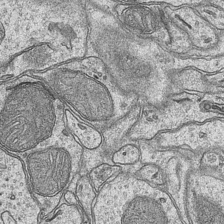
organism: Mouse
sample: CA1 Hippocampus